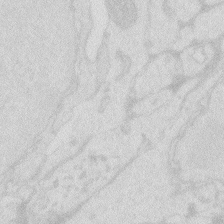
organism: Zebrafish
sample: Macrophage